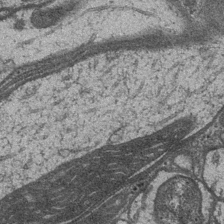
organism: Drosophila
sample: Optic medulla